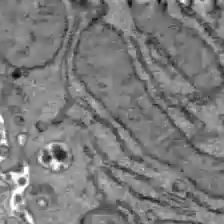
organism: C57BL Mouse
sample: Liver